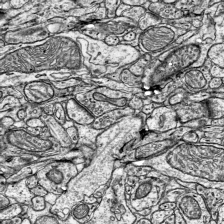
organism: Mouse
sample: Visual Cortex